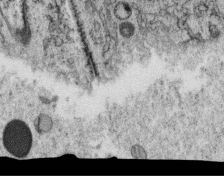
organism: C. elegans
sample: C. elegans oocyte; sperm cells